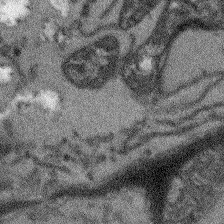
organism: Arabidopsis thaliana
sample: Root tip